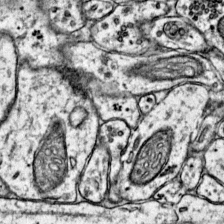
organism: Mouse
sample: Primary visual cortex